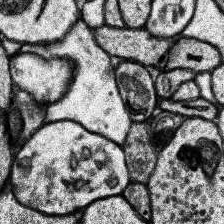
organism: Human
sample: Temporal Lobe